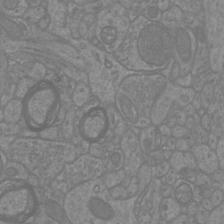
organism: Mouse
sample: Cortical neurons